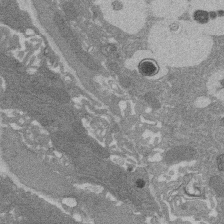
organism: Rat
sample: Salivary granule